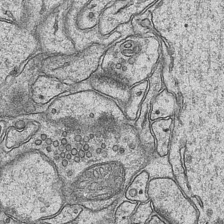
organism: Mouse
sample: CA1 Hippocampus